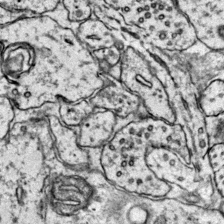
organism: Mouse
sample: Primary visual cortex